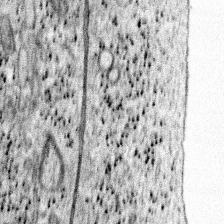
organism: Human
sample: HeLa cells